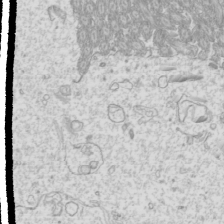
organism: Mouse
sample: Cilia; mouse epididymis